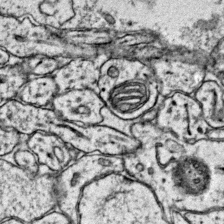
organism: Mouse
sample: Primary visual cortex